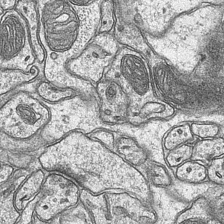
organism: Mouse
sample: CA1 Hippocampus